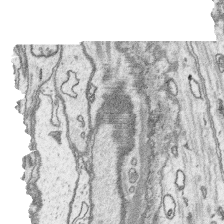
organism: Platynereis dumerilii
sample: Parapodia